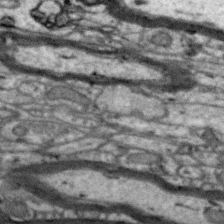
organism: Zebra finch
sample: Brain